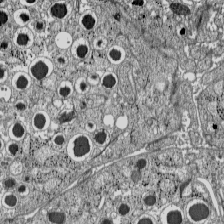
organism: C57BL Mouse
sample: Pancreatic islet